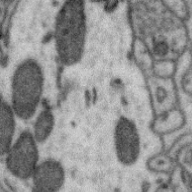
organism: Zebra finch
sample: Brain